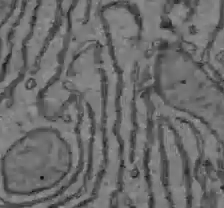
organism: C57BL Mouse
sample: Liver